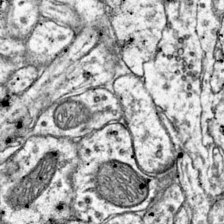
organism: Mouse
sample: Primary visual cortex